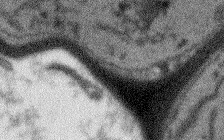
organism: Arabidopsis thaliana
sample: Root tip